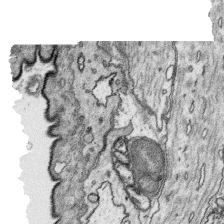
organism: Platynereis dumerilii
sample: Parapodia